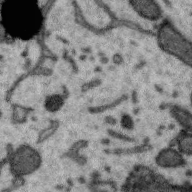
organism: Zebra finch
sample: Brain